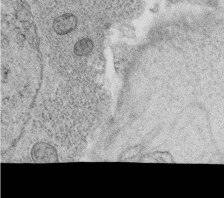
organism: C. elegans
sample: C. elegans oocyte; sperm cells